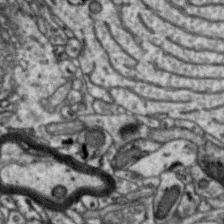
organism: Zebra finch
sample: Brain